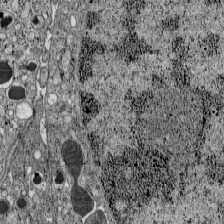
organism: C57BL Mouse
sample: Pancreatic islet